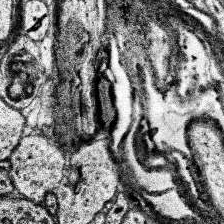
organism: Human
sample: Temporal Lobe